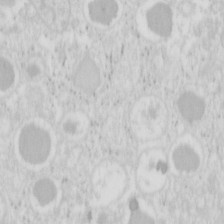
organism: Mouse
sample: Pancreas